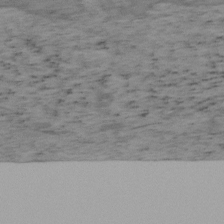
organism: Mouse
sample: OT-I killer T cells with ID8 ovarian cancer cells